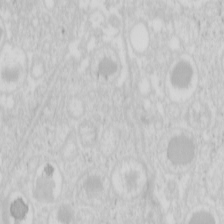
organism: Mouse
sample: Pancreas